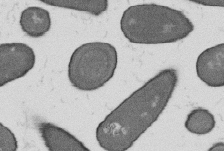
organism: B. subtilis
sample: Bacterial spore